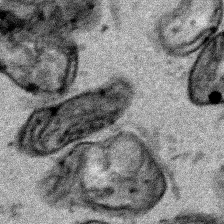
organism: Human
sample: Mitochondria in HCT116 cells